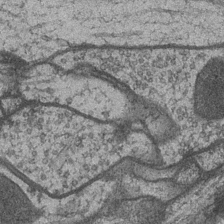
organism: Drosophila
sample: Optic medulla